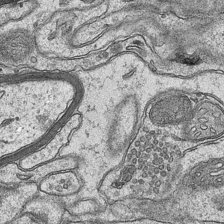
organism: Mouse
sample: CA1 Hippocampus